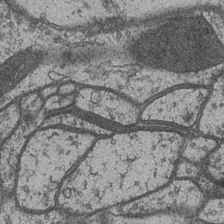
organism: Drosophila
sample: Optic medulla